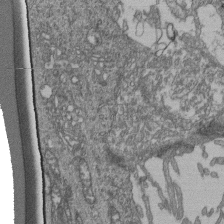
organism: Human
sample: Retinal organoid Rod and Cone cells